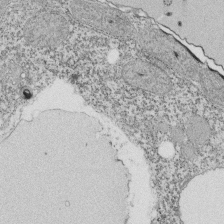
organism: Tetrahymena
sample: Cilia in tetrahymena